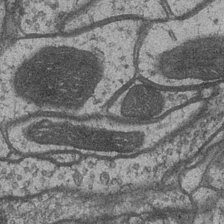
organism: Drosophila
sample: Optic medulla